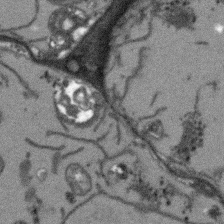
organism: Arabidopsis thaliana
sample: Root tip